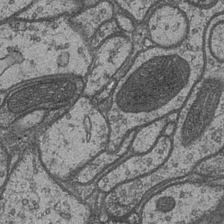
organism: Drosophila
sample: Optic medulla